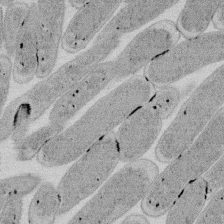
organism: E. coli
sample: Bacterial nucleoid